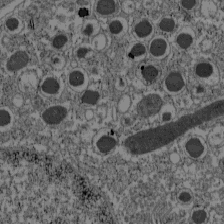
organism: C57BL Mouse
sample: Pancreatic islet